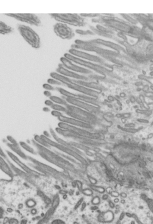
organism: Mouse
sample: Mouse epididymis efferent ductule cilia